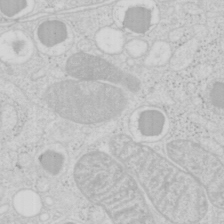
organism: Mouse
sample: Pancreas